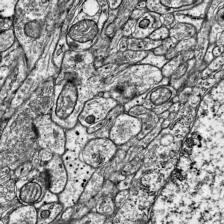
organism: Mouse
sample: Visual Cortex